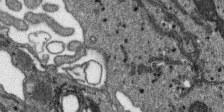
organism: Human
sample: Lung epithelial cells infected with SARS-CoV-2